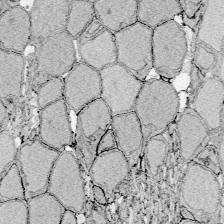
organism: Zebrafish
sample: Whole-Brain